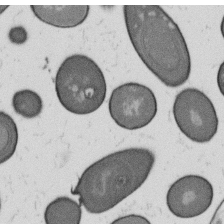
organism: B. subtilis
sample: Bacterial spore